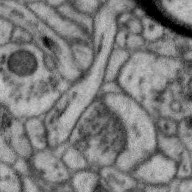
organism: Zebra finch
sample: Brain